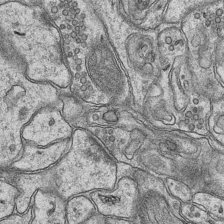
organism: Mouse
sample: CA1 Hippocampus